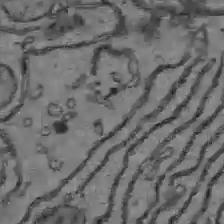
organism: C57BL Mouse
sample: Liver